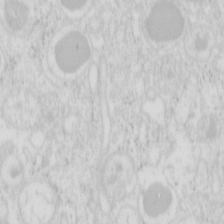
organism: Mouse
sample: Pancreas